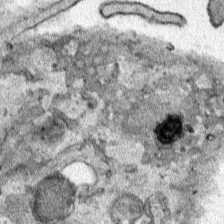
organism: Human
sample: Mitochondria in HCT116 cells